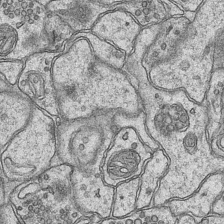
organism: Mouse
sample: CA1 Hippocampus